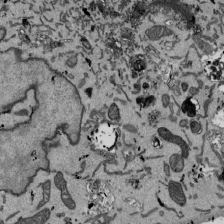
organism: Mouse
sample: ED-1 cell nuclei; centrioles